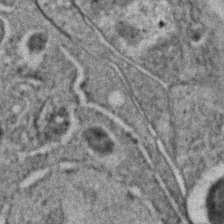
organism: C. elegans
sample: C. elegans embryo